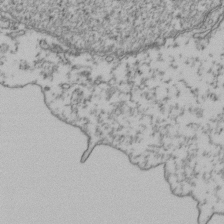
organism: Human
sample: Activated Jurkat CD4+ T cells